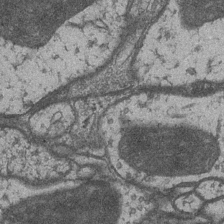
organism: Drosophila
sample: Optic medulla